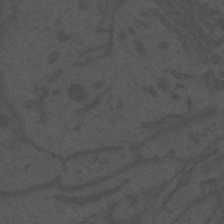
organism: Mouse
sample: Suprachiasmatic nucleus